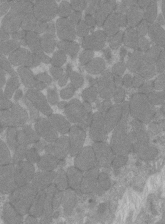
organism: C57BL Mouse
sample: Tibialis anterior muscle cell